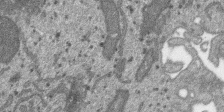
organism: Human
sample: Lung epithelial cells infected with SARS-CoV-2